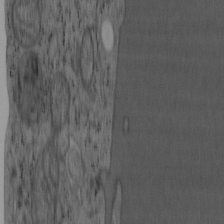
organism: Human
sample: HeLa cells